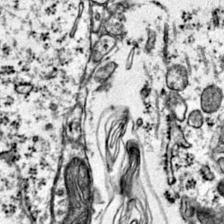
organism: Mouse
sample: Primary visual cortex